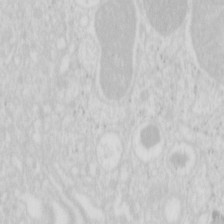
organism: Mouse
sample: Pancreas